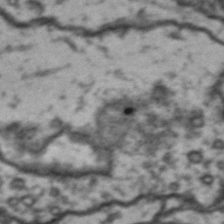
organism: Drosophila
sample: Brain